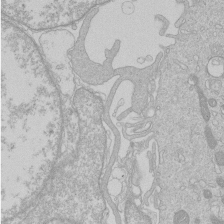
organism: Human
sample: Macrophage cells